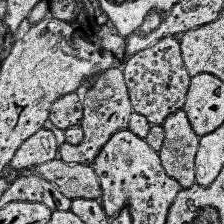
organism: Human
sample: Temporal Lobe